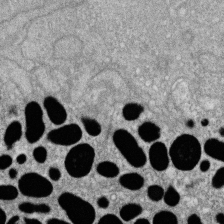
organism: Zebrafish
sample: Cilia; retinal pigment epithelium